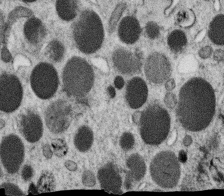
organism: C. elegans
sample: C. elegans oocyte; sperm cells